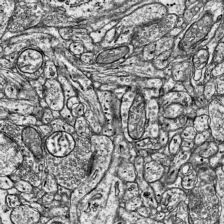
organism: Mouse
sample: Visual Cortex